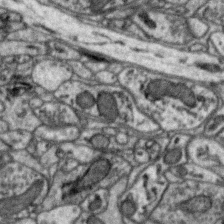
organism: Zebra finch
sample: Brain